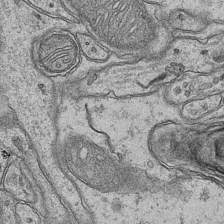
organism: Mouse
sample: CA1 Hippocampus